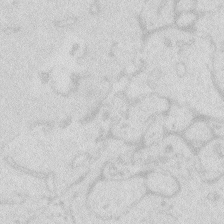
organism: Zebrafish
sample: Macrophage